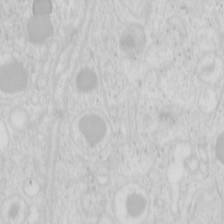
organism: Mouse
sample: Pancreas